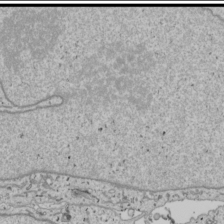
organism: Human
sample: Mitochondria in U2OS cells